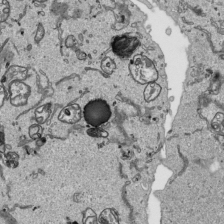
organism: Human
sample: Mitochondria in HCT116 cells